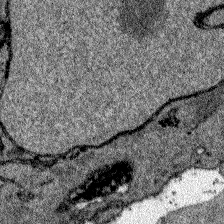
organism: Zebrafish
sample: Larval olfactory bulb